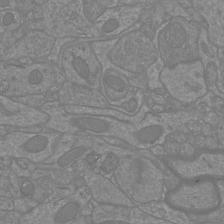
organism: Mouse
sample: Cortical neurons